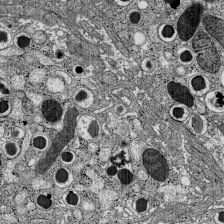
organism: C57BL Mouse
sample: Pancreatic islet